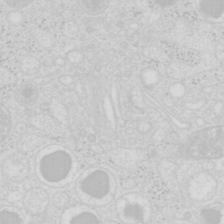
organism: Mouse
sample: Pancreas